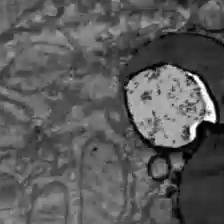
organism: C57BL Mouse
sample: Liver